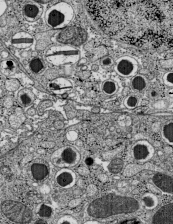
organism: C57BL Mouse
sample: Pancreatic islet